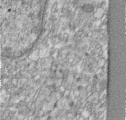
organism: Human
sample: Centriole in RPE cells